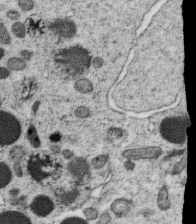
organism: C. elegans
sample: C. elegans oocyte; sperm cells